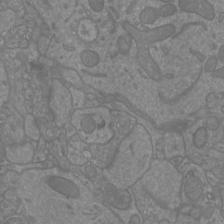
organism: Mouse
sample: Cortical neurons